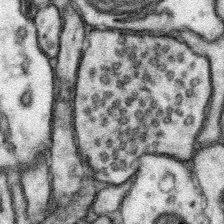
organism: Mouse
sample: Somatosensory cortex neuropil